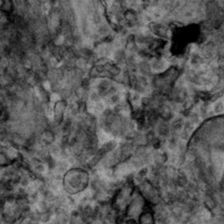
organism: Human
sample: Mitochondria in HCT116 cells